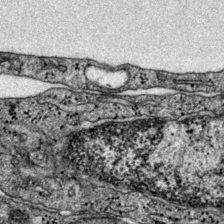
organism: Mouse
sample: Primary visual cortex